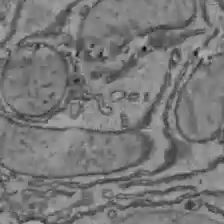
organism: C57BL Mouse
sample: Liver